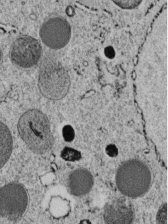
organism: C. elegans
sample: C. elegans embryo early stage